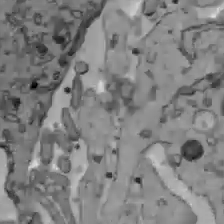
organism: C57BL Mouse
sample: Liver